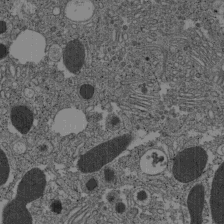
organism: C57BL Mouse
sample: Pancreatic islet